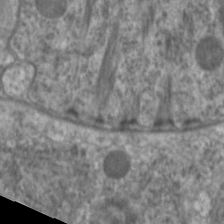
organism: C. elegans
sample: Pharynx